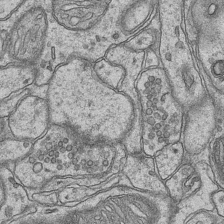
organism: Mouse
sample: CA1 Hippocampus